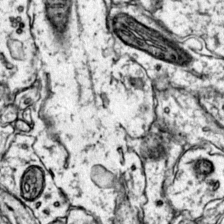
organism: Mouse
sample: Primary visual cortex